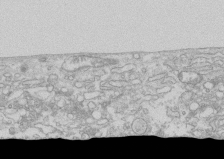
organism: Human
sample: CRL-1474